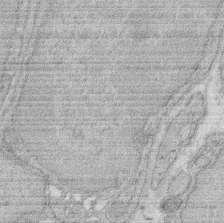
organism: Rat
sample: Salivary granule